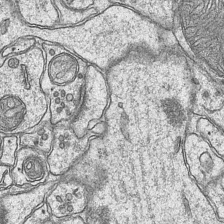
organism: Mouse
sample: CA1 Hippocampus